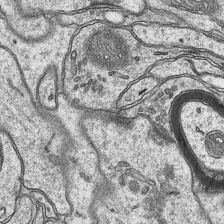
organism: Mouse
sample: CA1 Hippocampus